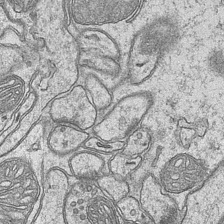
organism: Mouse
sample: CA1 Hippocampus